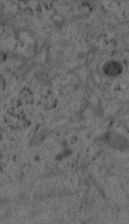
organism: Human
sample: HeLa cells